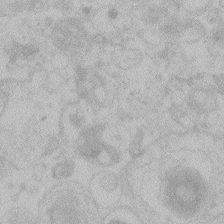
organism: Zebrafish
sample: Macrophage infected with Toxoplasma gondii